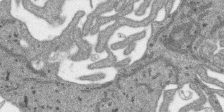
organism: Human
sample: Lung epithelial cells infected with SARS-CoV-2